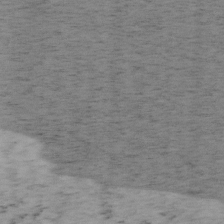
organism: Mouse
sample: OT-I killer T cells with ID8 ovarian cancer cells